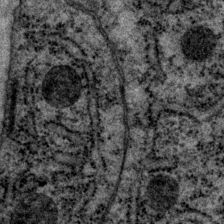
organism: P. pacificus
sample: Pharynx